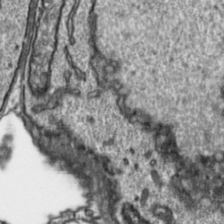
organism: Toxoplasma gondii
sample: Parasites in a vacuole inside a host cell